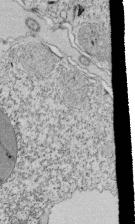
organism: Tetrahymena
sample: Cilia in tetrahymena